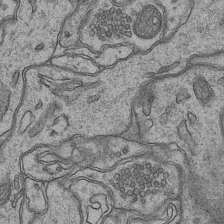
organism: Mouse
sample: CA1 Hippocampus